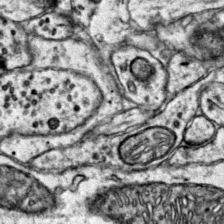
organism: Mouse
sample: Primary visual cortex